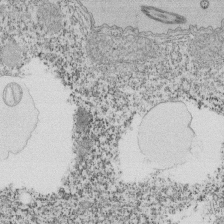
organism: Tetrahymena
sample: Cilia in tetrahymena